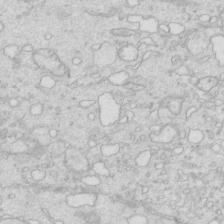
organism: Mouse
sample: Multiciliated cells